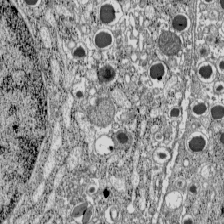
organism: C57BL Mouse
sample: Pancreatic islet